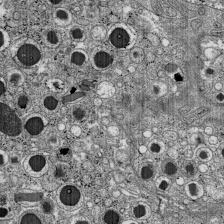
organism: C57BL Mouse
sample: Pancreatic islet